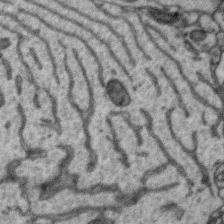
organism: Zebra finch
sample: Brain